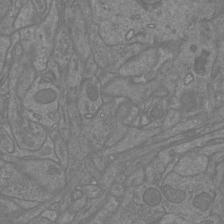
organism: Mouse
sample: Cortical neurons